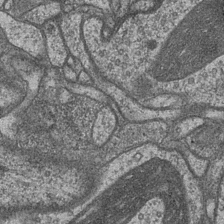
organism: Drosophila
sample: Optic medulla